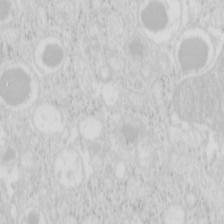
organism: Mouse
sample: Pancreas